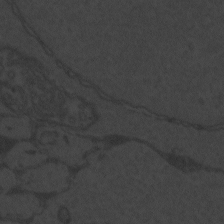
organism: Zebrafish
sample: Macrophage infected with Toxoplasma gondii